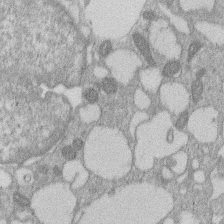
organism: Human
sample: Macrophage cells